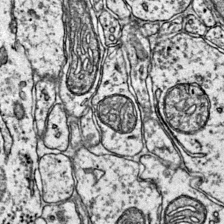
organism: Mouse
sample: Primary visual cortex